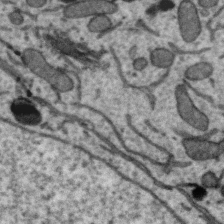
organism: Zebra finch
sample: Brain